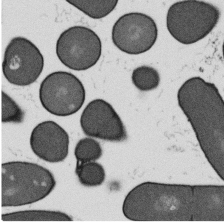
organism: B. subtilis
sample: Bacterial spore